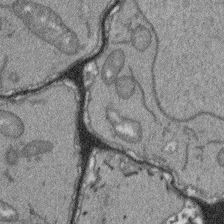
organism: Arabidopsis thaliana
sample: Root tip